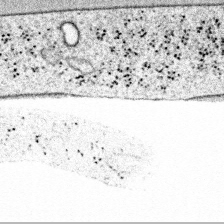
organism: Human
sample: HeLa cells